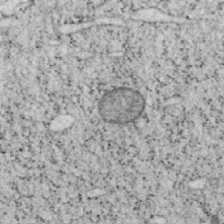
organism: Mouse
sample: OT-I killer T cells with ID8 ovarian cancer cells